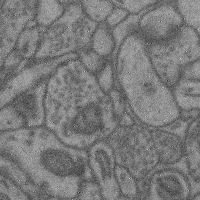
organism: Mouse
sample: Cerebral cortex